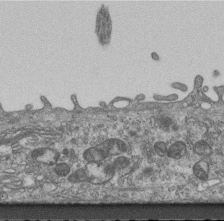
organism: Mouse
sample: Centriole in ependymal cells